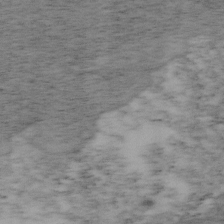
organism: Mouse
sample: OT-I killer T cells with ID8 ovarian cancer cells